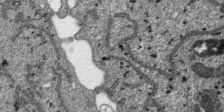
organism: Human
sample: Lung epithelial cells infected with SARS-CoV-2